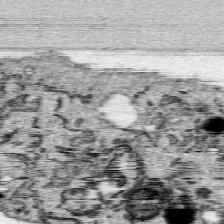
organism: Human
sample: HeLa cells